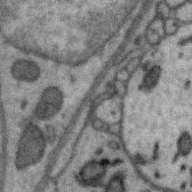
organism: Zebra finch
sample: Brain